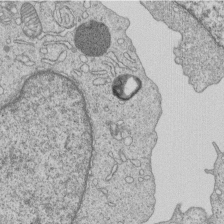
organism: Human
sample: MDA-MB-231 cells